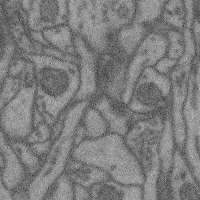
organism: Mouse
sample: Cerebral cortex